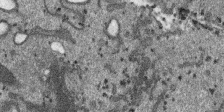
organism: Human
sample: Lung epithelial cells infected with SARS-CoV-2